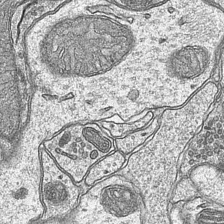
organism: Mouse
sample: CA1 Hippocampus